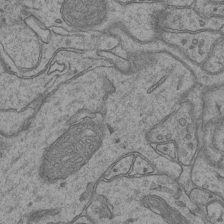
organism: Mouse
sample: CA1 Hippocampus